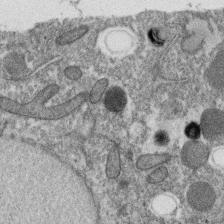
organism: C. elegans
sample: C. elegans oocyte; sperm cells